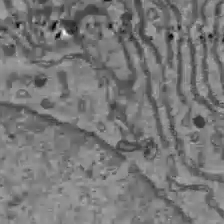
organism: C57BL Mouse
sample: Liver